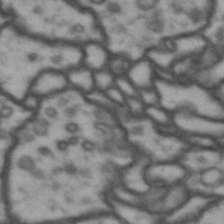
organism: Drosophila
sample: Brain